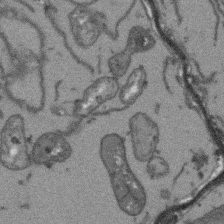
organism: Arabidopsis thaliana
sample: Root tip